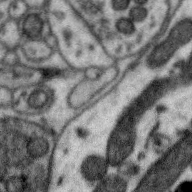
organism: Zebra finch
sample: Brain